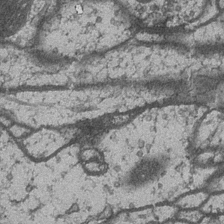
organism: Drosophila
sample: Optic medulla